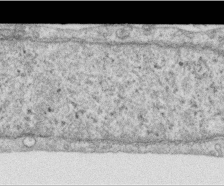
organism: Human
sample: Centriole in RPE cells